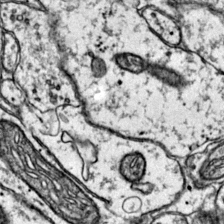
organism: Mouse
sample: Primary visual cortex